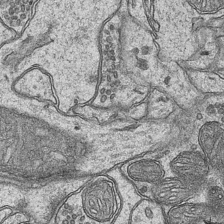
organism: Mouse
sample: CA1 Hippocampus